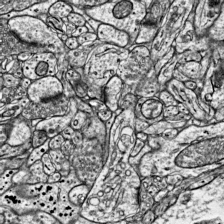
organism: Mouse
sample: Visual Cortex